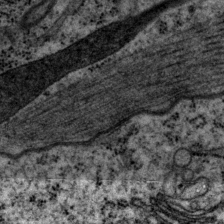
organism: P. pacificus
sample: Pharynx